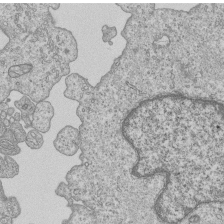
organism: Human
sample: MDA-MB-231 cells